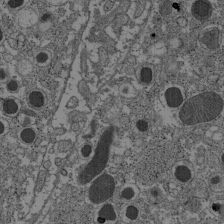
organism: C57BL Mouse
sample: Pancreatic islet